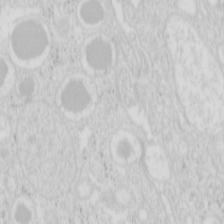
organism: Mouse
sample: Pancreas